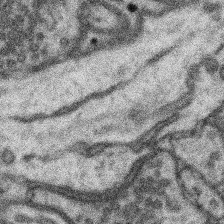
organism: Mouse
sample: Somatosensory cortex neuropil